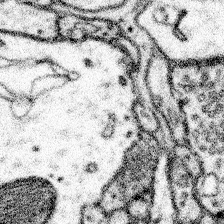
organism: Mouse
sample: Somatosensory cortex neuropil